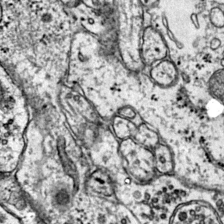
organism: Mouse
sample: Primary visual cortex